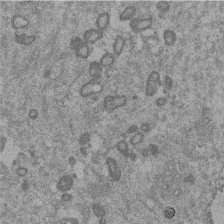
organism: Mouse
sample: Dividing mouse embryo 1 cell stage